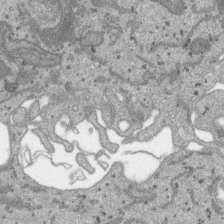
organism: Human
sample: Lung epithelial cells infected with SARS-CoV-2